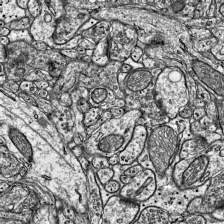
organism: Mouse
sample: Visual Cortex